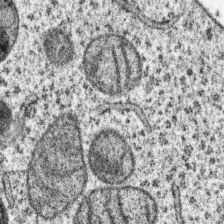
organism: Human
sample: HeLa cells